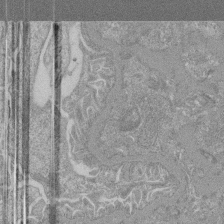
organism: Mouse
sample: Glomerulus